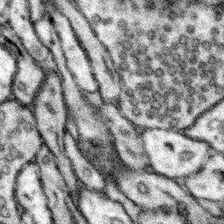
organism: Mouse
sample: Somatosensory cortex neuropil